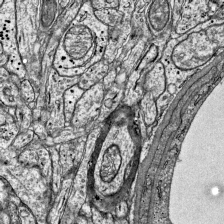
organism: Mouse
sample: Visual Cortex